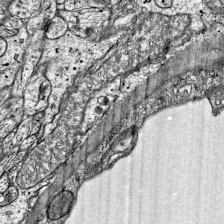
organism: Mouse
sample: Visual Cortex